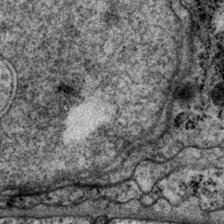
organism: P. pacificus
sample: Pharynx